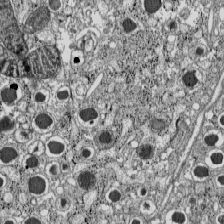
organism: C57BL Mouse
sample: Pancreatic islet